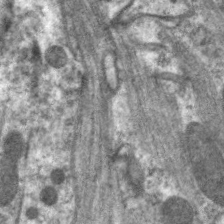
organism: C. elegans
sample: Pharynx